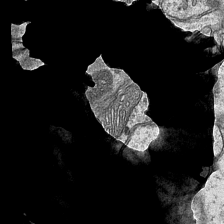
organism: Mouse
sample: CA1 Hippocampus